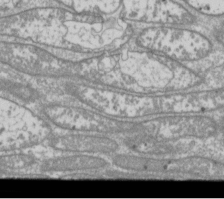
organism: Drosophila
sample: Cell division; meiosis; drosophila spermatocytes